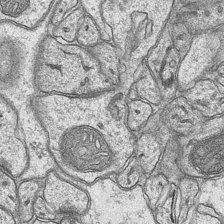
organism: Mouse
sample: CA1 Hippocampus